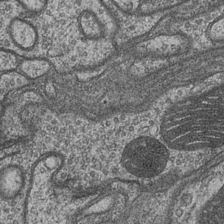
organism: Drosophila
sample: Optic medulla